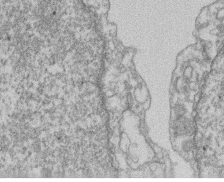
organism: Mouse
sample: T cell stromal cell synapse